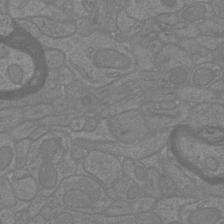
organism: Mouse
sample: Cortical neurons